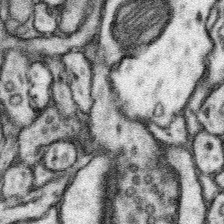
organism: Mouse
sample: Somatosensory cortex neuropil